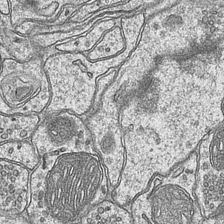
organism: Mouse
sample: CA1 Hippocampus